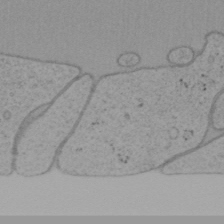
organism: Human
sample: HeLa cells